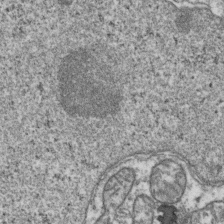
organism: Human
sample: Activated Jurkat CD4+ T cells